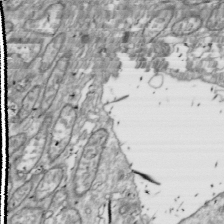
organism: Drosophila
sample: Cell division; meiosis; drosophila spermatocytes